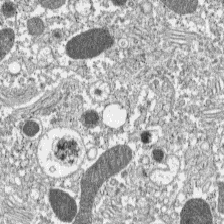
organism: C57BL Mouse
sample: Pancreatic islet